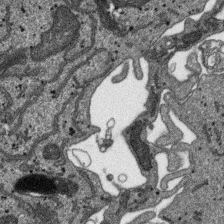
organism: Human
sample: Lung epithelial cells infected with SARS-CoV-2